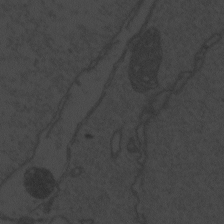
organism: Zebrafish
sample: Macrophage infected with Toxoplasma gondii